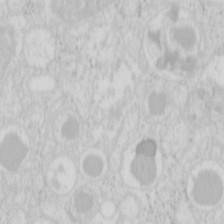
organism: Mouse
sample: Pancreas